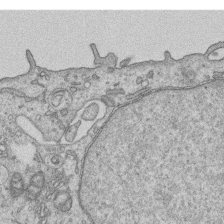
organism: Human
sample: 1205lu cells